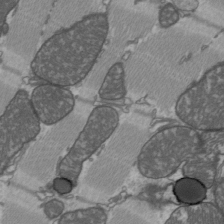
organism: C57BL Mouse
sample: Heart